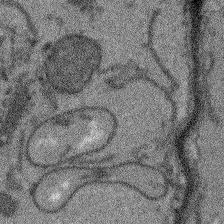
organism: Arabidopsis thaliana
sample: Root tip